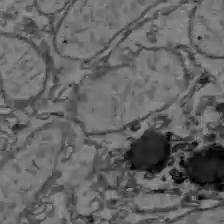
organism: C57BL Mouse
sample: Liver